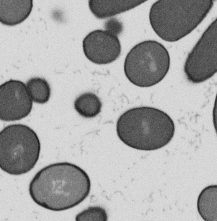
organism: B. subtilis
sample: Bacterial spore